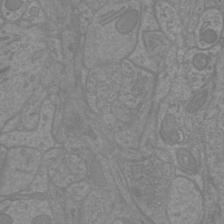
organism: Mouse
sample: Cortical neurons